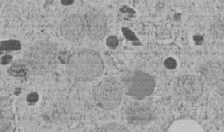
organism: C. elegans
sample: C. elegans embryo early stage